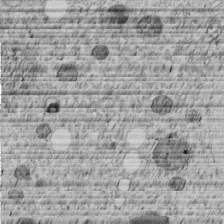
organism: C. elegans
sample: C. elegans embryo early stage